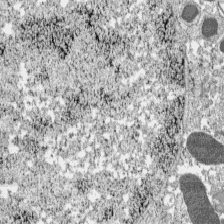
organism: C57BL Mouse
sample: Pancreatic islet